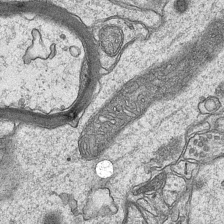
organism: Mouse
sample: CA1 Hippocampus